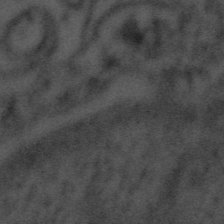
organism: Tuwongella immobilis